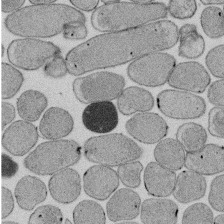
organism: E. coli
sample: Bacterial nucleoid